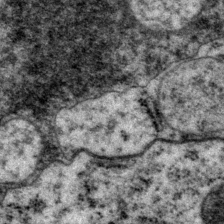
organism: P. pacificus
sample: Pharynx